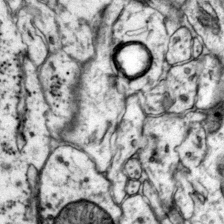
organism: Mouse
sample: Primary visual cortex